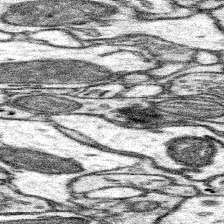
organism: Mouse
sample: Somatosensory cortex neuropil